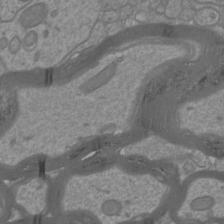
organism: Mouse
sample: Cortical neurons